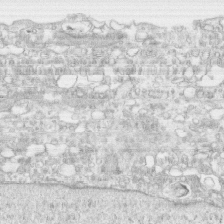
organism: Human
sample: CRL-1474